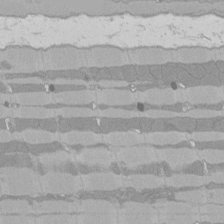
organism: Rat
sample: Left ventricle